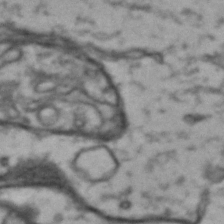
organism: Drosophila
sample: Brain